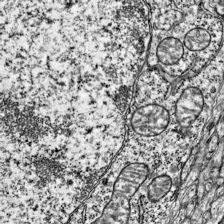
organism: Mouse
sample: Visual Cortex